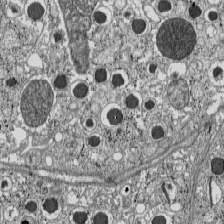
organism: C57BL Mouse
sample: Pancreatic islet